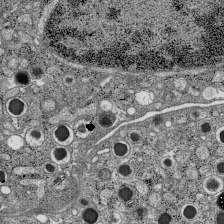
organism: C57BL Mouse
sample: Pancreatic islet